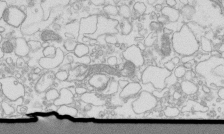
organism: Mouse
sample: Macrophages